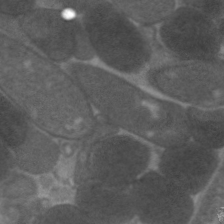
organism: C. elegans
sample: Pharynx